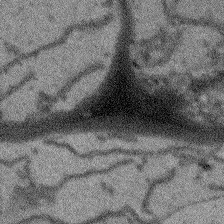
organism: Arabidopsis thaliana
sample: Root tip